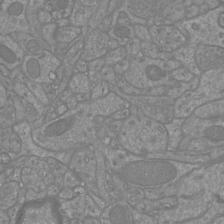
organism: Mouse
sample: Cortical neurons